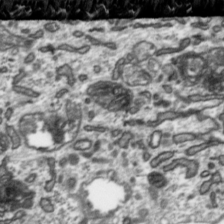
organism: Toxoplasma gondii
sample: Parasites in a vacuole inside a host cell